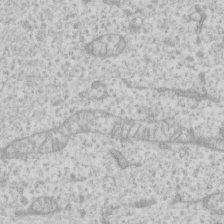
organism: Human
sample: Fibroblast cells